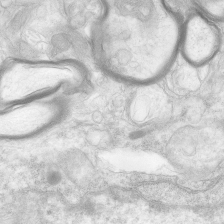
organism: Human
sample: Neocortex